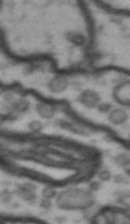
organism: Drosophila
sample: Brain